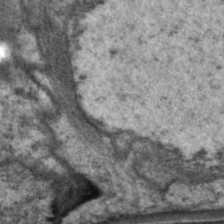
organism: C. elegans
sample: Pharynx